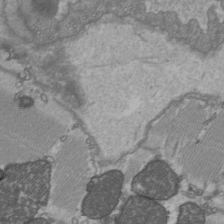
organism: C57BL Mouse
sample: Heart